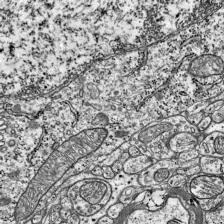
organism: Mouse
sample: Visual Cortex